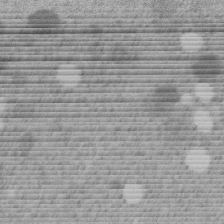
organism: C. elegans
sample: C. elegans embryo early stage